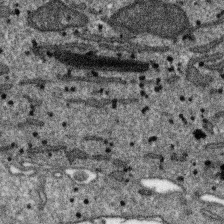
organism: Human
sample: Lung epithelial cells infected with SARS-CoV-2